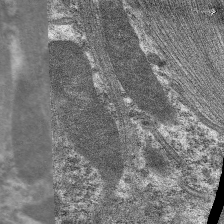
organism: C. elegans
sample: Pharynx